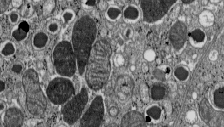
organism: C57BL Mouse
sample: Pancreatic islet